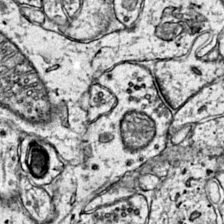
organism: Mouse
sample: Primary visual cortex